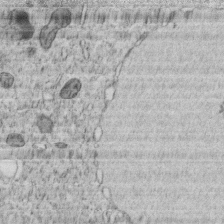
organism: C. elegans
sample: C. elegans embryo early stage